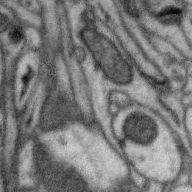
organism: Zebra finch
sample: Brain